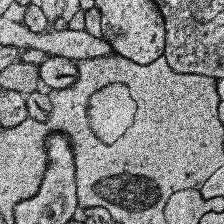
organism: Human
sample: Temporal Lobe